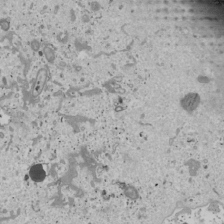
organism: Human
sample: Mitochondria in U2OS cells